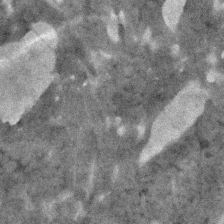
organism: Human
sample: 1205lu cells